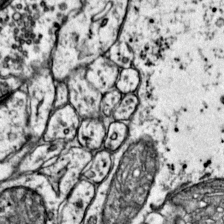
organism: Mouse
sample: Primary visual cortex